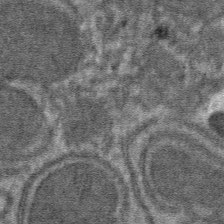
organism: Mouse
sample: Mouse hepatocytes